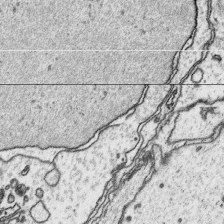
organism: Platynereis dumerilii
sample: Parapodia